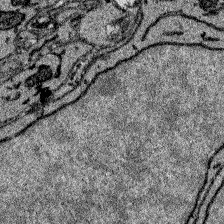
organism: Zebrafish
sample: Larval olfactory bulb